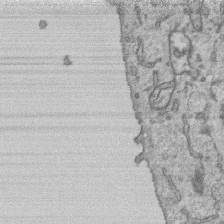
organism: Human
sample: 1205lu cells